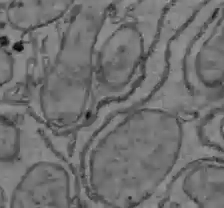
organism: C57BL Mouse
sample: Liver